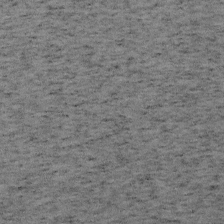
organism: Mouse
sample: OT-I killer T cells with ID8 ovarian cancer cells